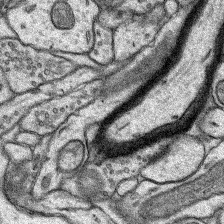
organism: Rat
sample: Hippocampus